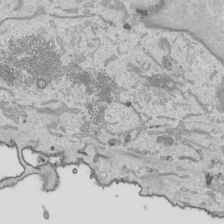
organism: Human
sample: Mitochondria in HCT116 cells